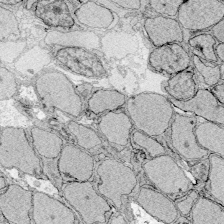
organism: Zebrafish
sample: Whole-Brain